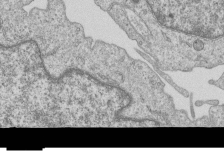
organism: Human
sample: MDA-MB-231 cells